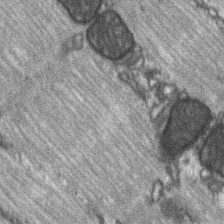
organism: C57BL Mouse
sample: Soleus